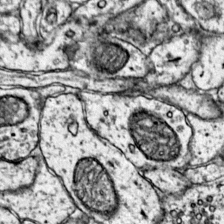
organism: Mouse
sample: Primary visual cortex